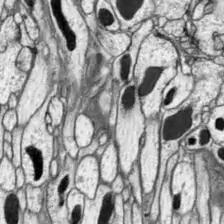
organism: Drosophila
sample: Optic lobe